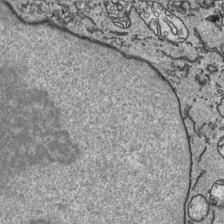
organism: Human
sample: Mitochondria in HCT116 cells